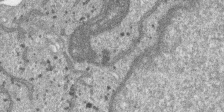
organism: Human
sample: Lung epithelial cells infected with SARS-CoV-2